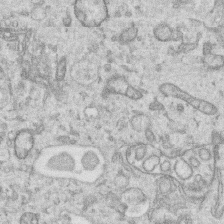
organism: Human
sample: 1205lu cells